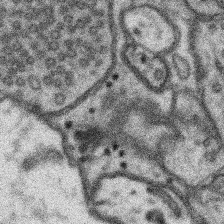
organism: Mouse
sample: Somatosensory cortex neuropil